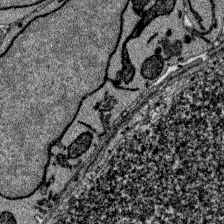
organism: Zebrafish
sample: Larval olfactory bulb